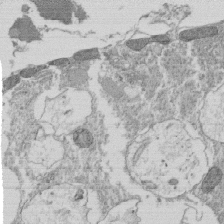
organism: Tetrahymena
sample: Cilia in tetrahymena